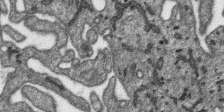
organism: Human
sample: Lung epithelial cells infected with SARS-CoV-2